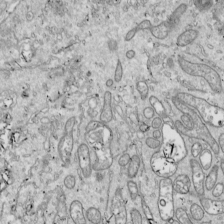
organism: Drosophila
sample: Cell division; meiosis; drosophila spermatocytes